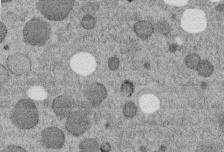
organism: C. elegans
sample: C. elegans embryo early stage